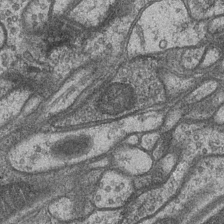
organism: Drosophila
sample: Optic medulla